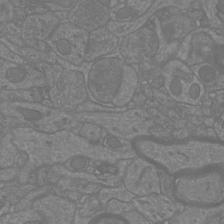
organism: Mouse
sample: Cortical neurons